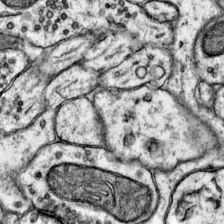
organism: Mouse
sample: Primary visual cortex